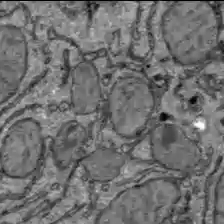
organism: C57BL Mouse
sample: Liver